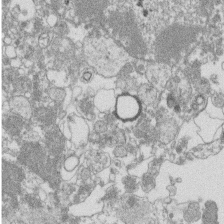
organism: Human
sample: HeLa cell HIV synapse